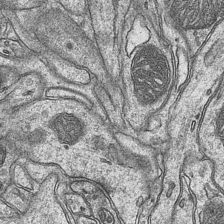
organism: Mouse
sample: CA1 Hippocampus